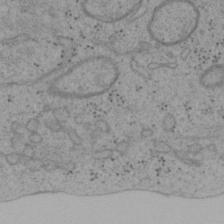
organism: Human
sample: HeLa cells